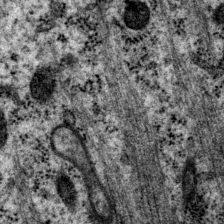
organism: P. pacificus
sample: Pharynx